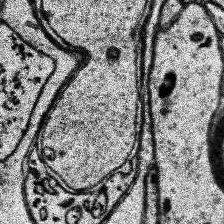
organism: Human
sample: Temporal Lobe